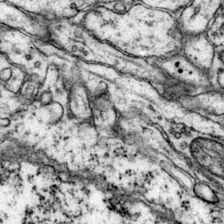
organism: Mouse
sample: Primary visual cortex